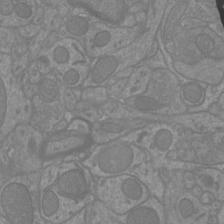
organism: Mouse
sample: Cortical neurons